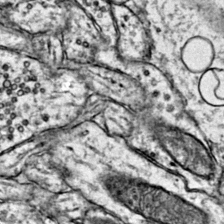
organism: Mouse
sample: Primary visual cortex